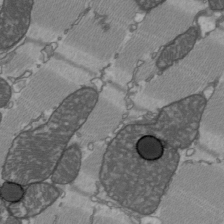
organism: C57BL Mouse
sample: Heart